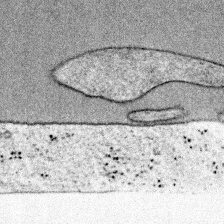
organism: Human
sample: HeLa cells